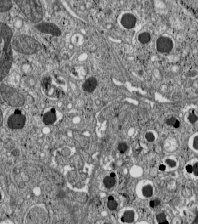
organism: C57BL Mouse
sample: Pancreatic islet